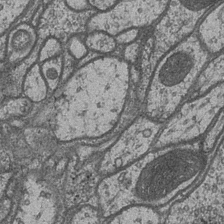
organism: Drosophila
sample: Optic medulla